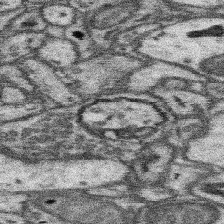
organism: Mouse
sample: Somatosensory cortex neuropil